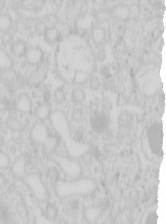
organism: Mouse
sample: Pancreas